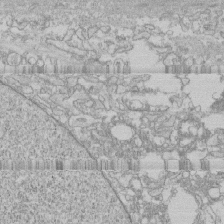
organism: Human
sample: CRL-1474